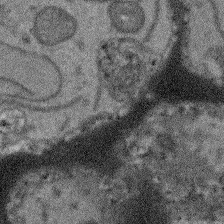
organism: Arabidopsis thaliana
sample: Root tip